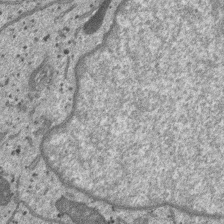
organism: Human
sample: Lung epithelial cells infected with SARS-CoV-2